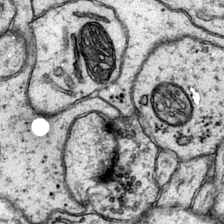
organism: Mouse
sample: Primary visual cortex